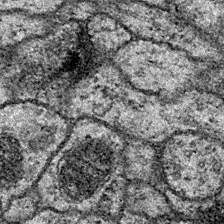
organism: Drosophila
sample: Ventral Nerve Cord